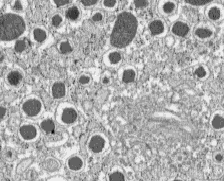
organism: C57BL Mouse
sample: Pancreatic islet